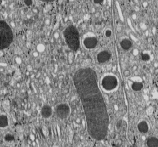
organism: C57BL Mouse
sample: Pancreatic islet